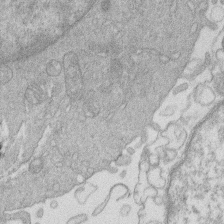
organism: Human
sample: Macrophage cells